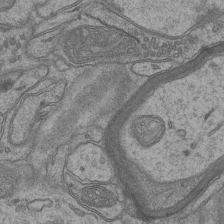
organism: Mouse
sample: CA1 Hippocampus